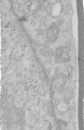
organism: Human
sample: Centriole in RPE cells